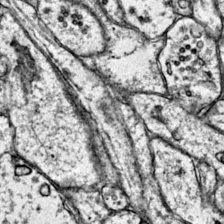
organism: Mouse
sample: Primary visual cortex